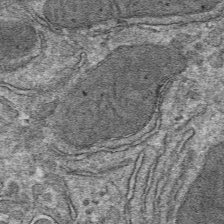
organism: Mouse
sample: Mouse hepatocytes